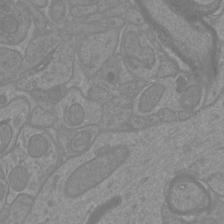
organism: Mouse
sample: Cortical neurons